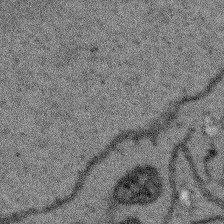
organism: Arabidopsis thaliana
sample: Root tip